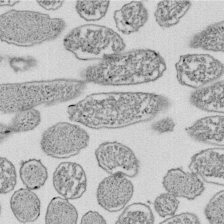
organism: E. coli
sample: Bacterial nucleoid